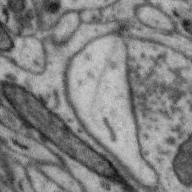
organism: Zebra finch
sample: Brain